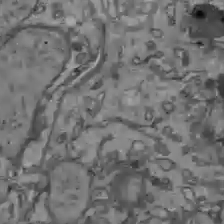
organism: C57BL Mouse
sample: Liver